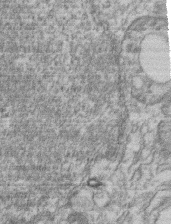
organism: Mouse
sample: T cell stromal cell synapse